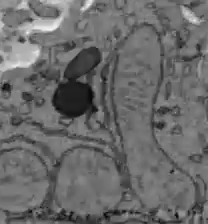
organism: C57BL Mouse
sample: Liver